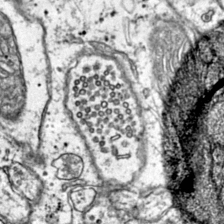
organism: Mouse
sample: Primary visual cortex